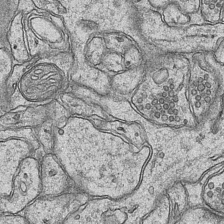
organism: Mouse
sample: CA1 Hippocampus